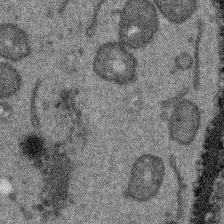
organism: Arabidopsis thaliana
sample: Root tip